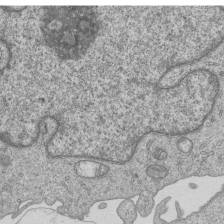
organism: Human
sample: MDA-MB-231 cells